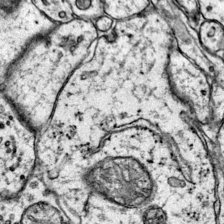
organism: Mouse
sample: Primary visual cortex